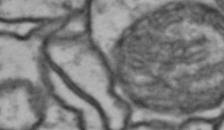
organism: Drosophila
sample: Brain